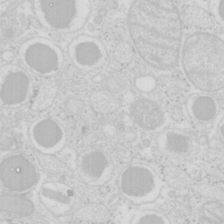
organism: Mouse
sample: Pancreas